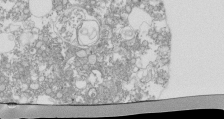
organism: Mouse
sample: Activated Pmel transgenic CD8+ T Cells